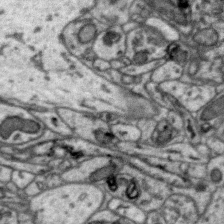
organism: Zebra finch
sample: Brain